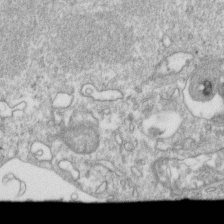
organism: Mouse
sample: Activated OT-1 CD8+ T cells